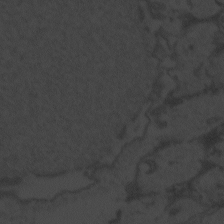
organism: Zebrafish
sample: Macrophage infected with Toxoplasma gondii